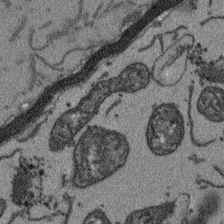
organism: Arabidopsis thaliana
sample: Root tip